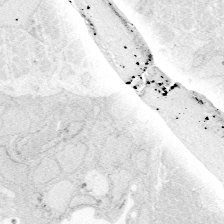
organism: Zebrafish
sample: Whole-Brain